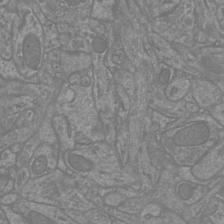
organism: Mouse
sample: Cortical neurons